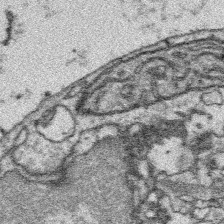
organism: Platynereis dumerilii